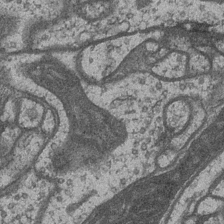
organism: Drosophila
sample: Optic medulla